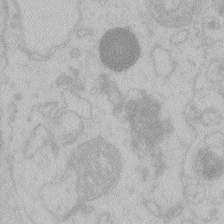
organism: Zebrafish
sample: Macrophage infected with Toxoplasma gondii